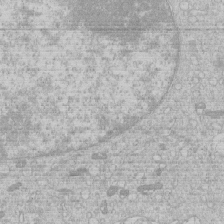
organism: Human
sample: Macrophage cells